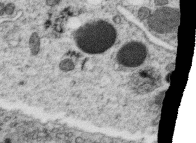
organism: C. elegans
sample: C. elegans oocyte; sperm cells